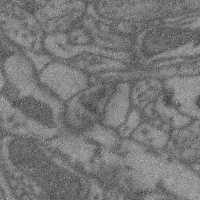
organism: Mouse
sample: Cerebral cortex